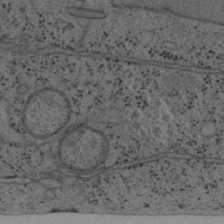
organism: Human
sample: HeLa cells